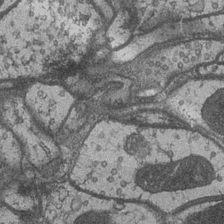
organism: Drosophila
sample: Optic medulla